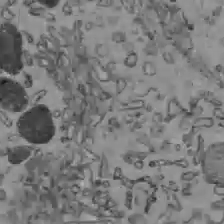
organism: C57BL Mouse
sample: Liver